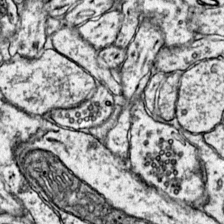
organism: Mouse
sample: Primary visual cortex